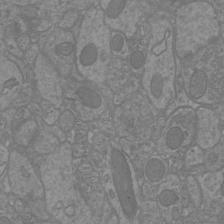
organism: Mouse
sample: Cortical neurons